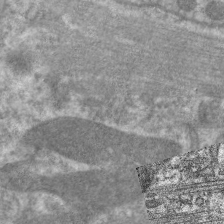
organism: C. elegans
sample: Pharynx